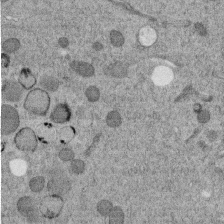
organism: C. elegans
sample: C. elegans embryo early stage